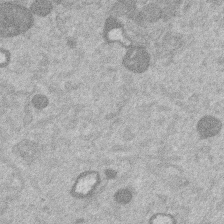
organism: Mouse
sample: Dividing mouse embryo 1 cell stage